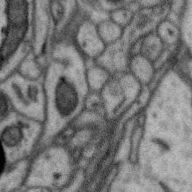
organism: Zebra finch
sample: Brain